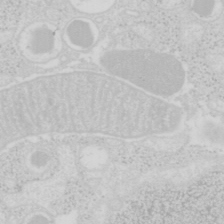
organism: Mouse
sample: Pancreas